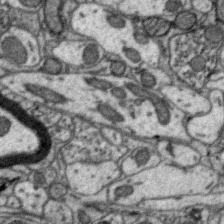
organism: Zebra finch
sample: Brain